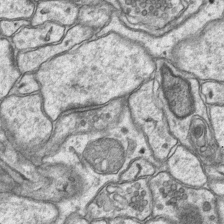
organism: Mouse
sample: CA1 Hippocampus